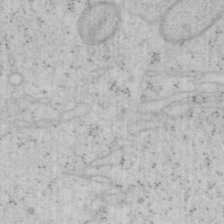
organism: Human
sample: HeLa cells